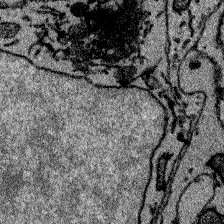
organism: Zebrafish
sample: Larval olfactory bulb